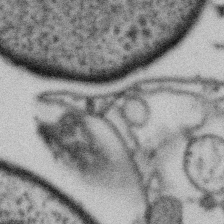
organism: Gemmata obscuriglobus